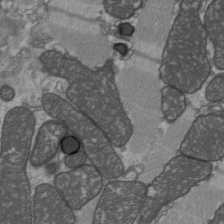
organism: C57BL Mouse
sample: Heart